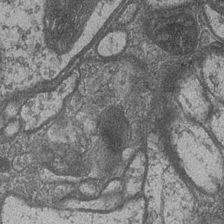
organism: Drosophila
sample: Optic medulla